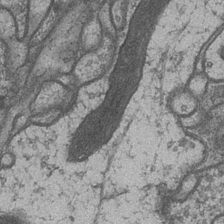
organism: Drosophila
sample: Optic medulla